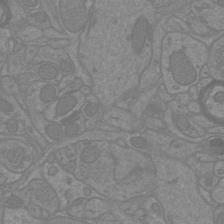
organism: Mouse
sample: Cortical neurons